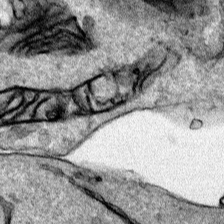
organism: Human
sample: Mitochondria in HCT116 cells